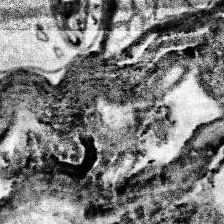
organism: Human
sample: Temporal Lobe